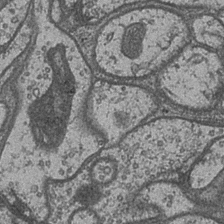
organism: Drosophila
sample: Optic medulla